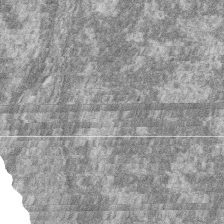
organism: Zebrafish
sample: Cilia; retinal pigment epithelium